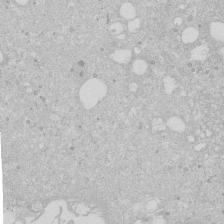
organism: Human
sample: Caco-2 cells